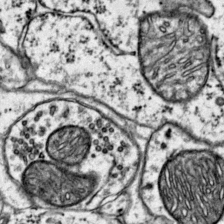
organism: Mouse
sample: Primary visual cortex